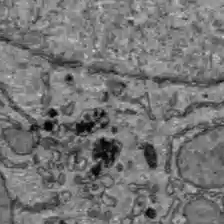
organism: C57BL Mouse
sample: Liver